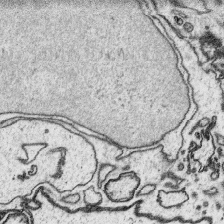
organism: Platynereis dumerilii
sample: Parapodia